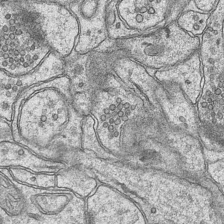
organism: Mouse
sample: CA1 Hippocampus